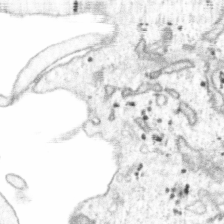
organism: Human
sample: HeLa cells